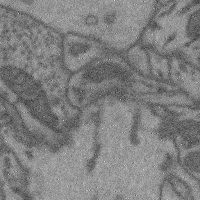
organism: Mouse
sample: Cerebral cortex